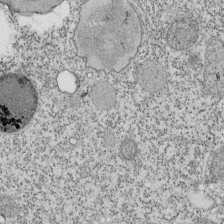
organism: Tetrahymena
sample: Cilia in tetrahymena